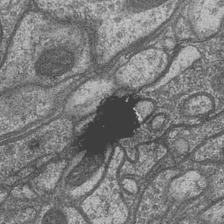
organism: Drosophila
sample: Optic medulla